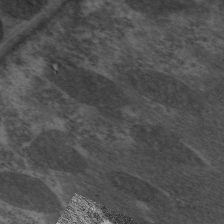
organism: C. elegans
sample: Pharynx